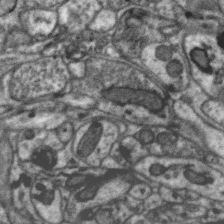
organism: Zebra finch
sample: Brain